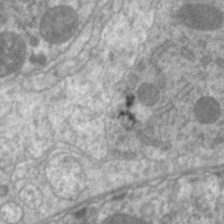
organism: C. elegans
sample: Pharynx